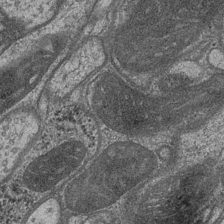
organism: Drosophila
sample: Optic medulla